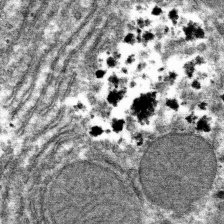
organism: Mouse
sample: Mouse hepatocytes